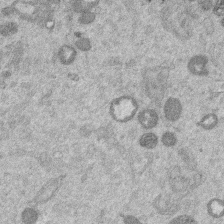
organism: Mouse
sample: Dividing mouse embryo 1 cell stage